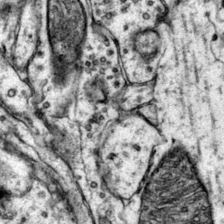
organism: Mouse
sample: Primary visual cortex